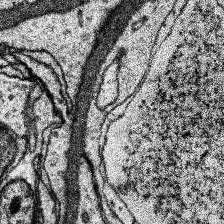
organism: Human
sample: Temporal Lobe